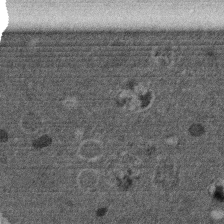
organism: Mouse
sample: Dividing mouse embryo 1 cell stage